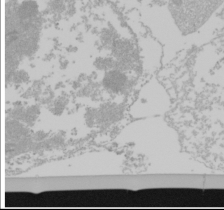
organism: Mouse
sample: Cancer cell death in ED-1 cells